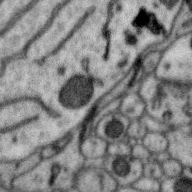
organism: Zebra finch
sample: Brain